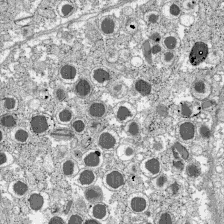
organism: C57BL Mouse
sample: Pancreatic islet